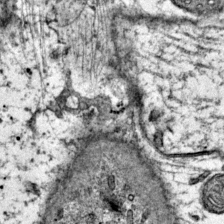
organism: Mouse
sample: Primary visual cortex